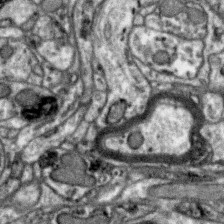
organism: Zebra finch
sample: Brain